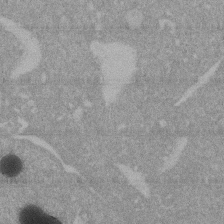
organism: Mouse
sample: ED-1 cell nuclei; centrioles